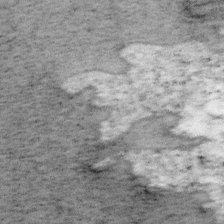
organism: Mouse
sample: OT-I killer T cells with ID8 ovarian cancer cells